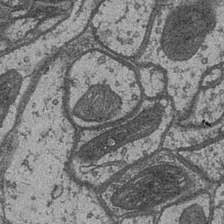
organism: Drosophila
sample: Optic medulla